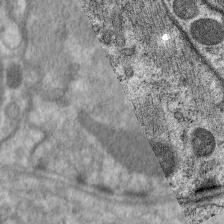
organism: C. elegans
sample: Pharynx